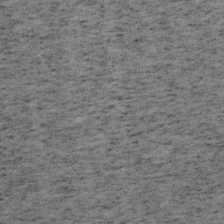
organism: Mouse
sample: OT-I killer T cells with ID8 ovarian cancer cells